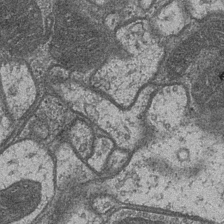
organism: Drosophila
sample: Optic medulla